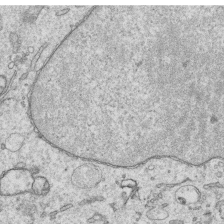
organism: Human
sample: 1205lu cells